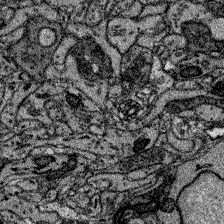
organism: Zebrafish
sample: Larval olfactory bulb